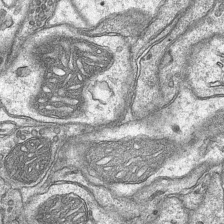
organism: Mouse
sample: CA1 Hippocampus